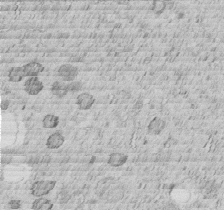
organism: C. elegans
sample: C. elegans embryo early stage